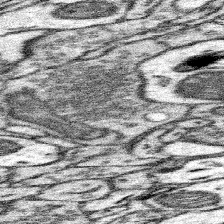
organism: Mouse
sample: Somatosensory cortex neuropil